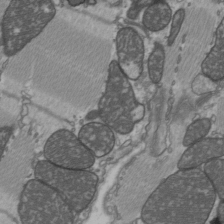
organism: C57BL Mouse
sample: Heart